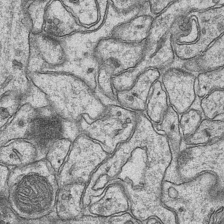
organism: Mouse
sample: CA1 Hippocampus